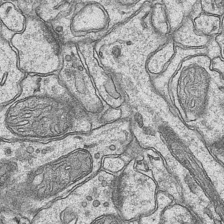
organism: Mouse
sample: CA1 Hippocampus